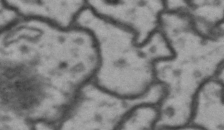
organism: Drosophila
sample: Brain